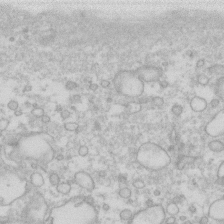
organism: Human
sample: Fibroblast cells